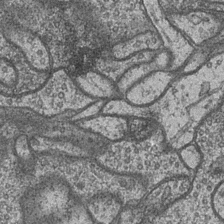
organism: Drosophila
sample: Optic medulla